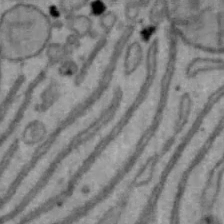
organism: Mouse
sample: Liver